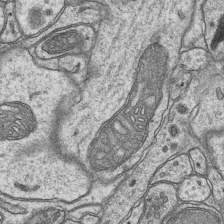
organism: Mouse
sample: CA1 Hippocampus